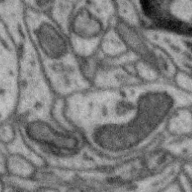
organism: Zebra finch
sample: Brain